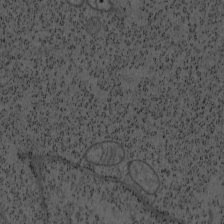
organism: Mouse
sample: OT-I killer T cells with ID8 ovarian cancer cells